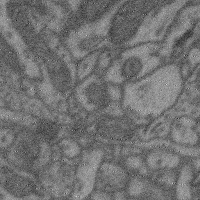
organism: Mouse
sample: Cerebral cortex